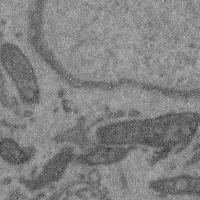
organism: Mouse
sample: Cerebral cortex